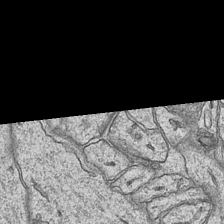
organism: Mouse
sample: CA1 Hippocampus